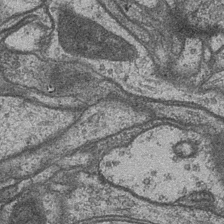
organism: Drosophila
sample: Optic medulla